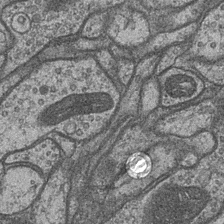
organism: Drosophila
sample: Optic medulla